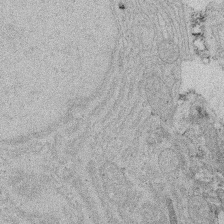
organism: Rat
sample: Salivary granule